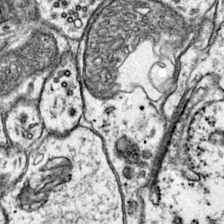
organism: Mouse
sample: Primary visual cortex